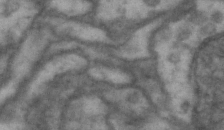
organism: Drosophila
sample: Brain